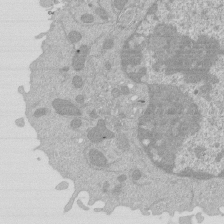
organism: Mouse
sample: Activated Pmel transgenic CD8+ T Cells